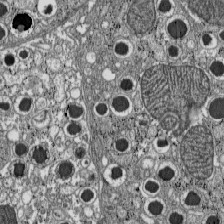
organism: C57BL Mouse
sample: Pancreatic islet